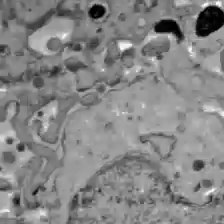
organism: C57BL Mouse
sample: Liver